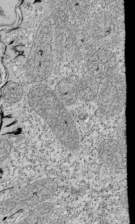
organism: Tetrahymena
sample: Cilia in tetrahymena